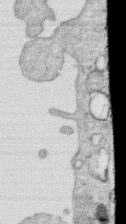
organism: Human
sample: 1205lu cells